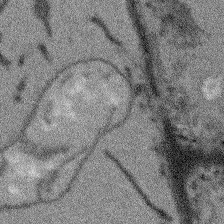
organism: Arabidopsis thaliana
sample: Root tip